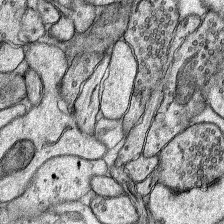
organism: Rat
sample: Hippocampus